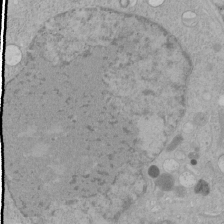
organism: Human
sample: Mitochondria in HCT116 cells